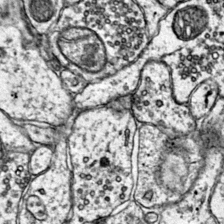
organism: Mouse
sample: Primary visual cortex